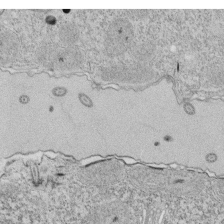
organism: Tetrahymena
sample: Cilia in tetrahymena